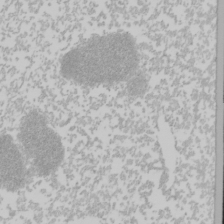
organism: Mouse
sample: Cancer cell death in ED-1 cells